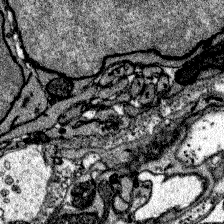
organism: Zebrafish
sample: Larval olfactory bulb